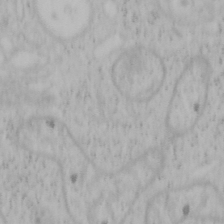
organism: Mouse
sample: OT-I killer T cells with ID8 ovarian cancer cells